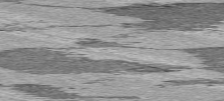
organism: C57BL Mouse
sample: Heart